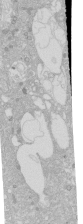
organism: Human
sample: Caco-2 cells